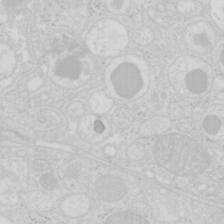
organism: Mouse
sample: Pancreas